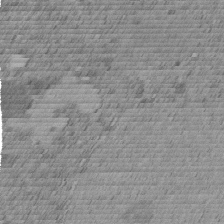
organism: C. elegans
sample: C. elegans embryo early stage